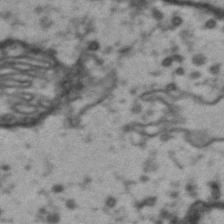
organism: Drosophila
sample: Brain